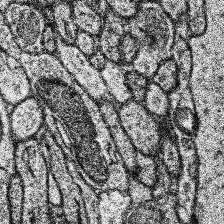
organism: Human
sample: Temporal Lobe